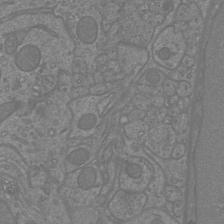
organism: Mouse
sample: Cortical neurons